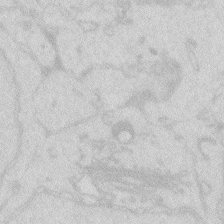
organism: Zebrafish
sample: Macrophage